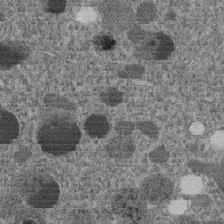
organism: C. elegans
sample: C. elegans embryo early stage